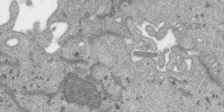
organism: Human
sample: Lung epithelial cells infected with SARS-CoV-2